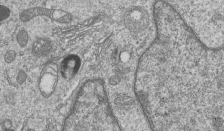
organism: Human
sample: MDA-MB-231 cells